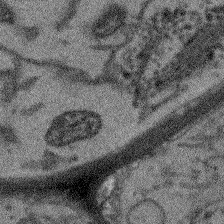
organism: Arabidopsis thaliana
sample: Root tip